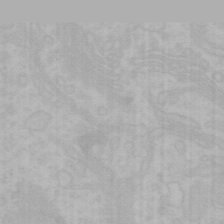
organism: Mouse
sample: Choroid plexus